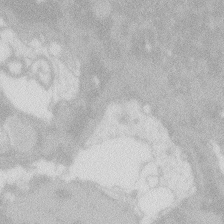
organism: Zebrafish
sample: Macrophage